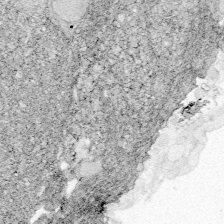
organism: Zebrafish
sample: Whole-Brain